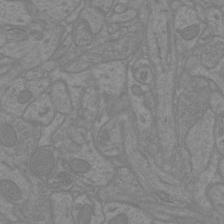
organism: Mouse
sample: Cortical neurons